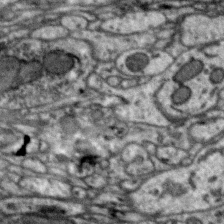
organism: Zebra finch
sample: Brain